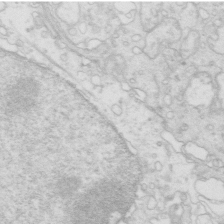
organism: Mouse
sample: Multiciliated cells